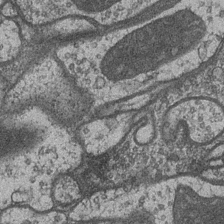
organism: Drosophila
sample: Optic medulla